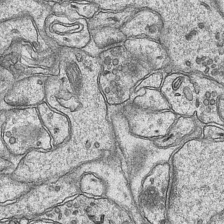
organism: Mouse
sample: CA1 Hippocampus